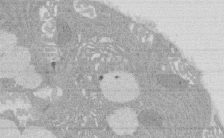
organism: Rat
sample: Salivary granule